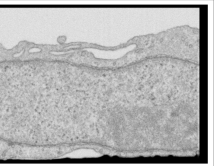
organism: Human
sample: Centriole in RPE cells